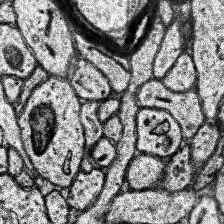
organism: Human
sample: Temporal Lobe